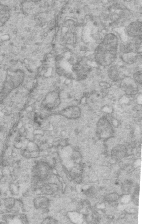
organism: Mouse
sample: Multiciliated cells